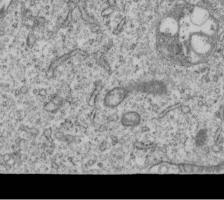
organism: Human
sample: MDA-MB-231 cells